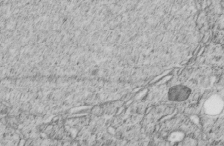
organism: C. elegans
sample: C. elegans embryo early stage